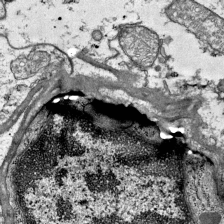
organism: Mouse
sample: Visual Cortex